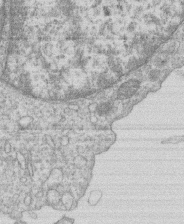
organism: Human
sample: Macrophage cells